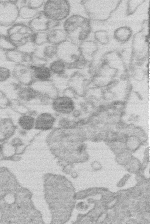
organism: Human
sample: Macrophage cells